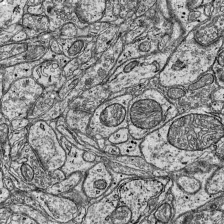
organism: Mouse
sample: Visual Cortex